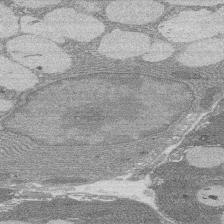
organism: Rat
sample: Salivary granule